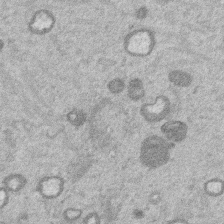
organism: Mouse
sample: Dividing mouse embryo 1 cell stage